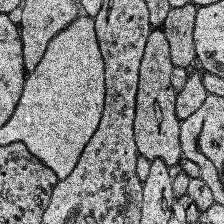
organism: Human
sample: Temporal Lobe